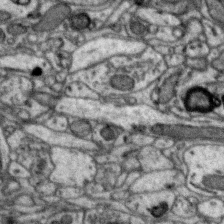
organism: Zebra finch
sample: Brain